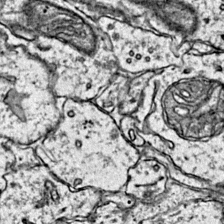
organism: Mouse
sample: Primary visual cortex